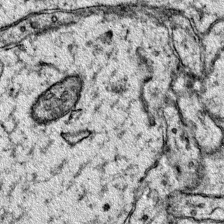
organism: Mouse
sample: Primary visual cortex